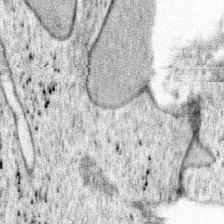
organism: Human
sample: HeLa cells